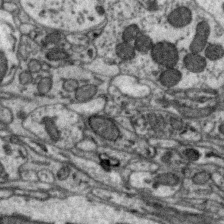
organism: Zebra finch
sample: Brain